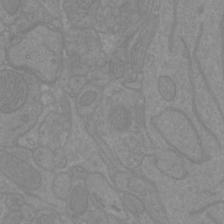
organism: Mouse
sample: Cortical neurons